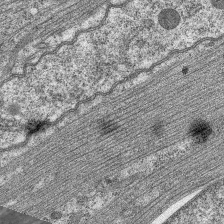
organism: C. elegans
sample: Pharynx